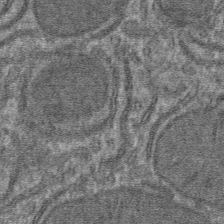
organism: Mouse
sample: Mouse hepatocytes